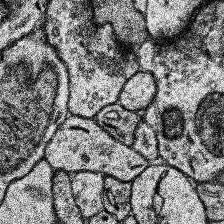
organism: Human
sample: Temporal Lobe